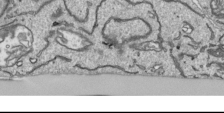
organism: Human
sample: Mitochondria in HCT116 cells